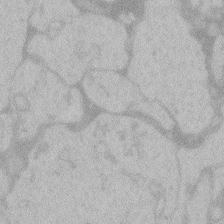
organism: Zebrafish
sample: Macrophage infected with Toxoplasma gondii